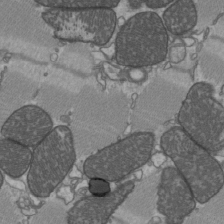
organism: C57BL Mouse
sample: Heart